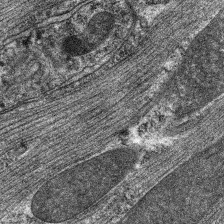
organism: C. elegans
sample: Pharynx